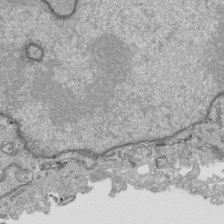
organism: Human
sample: Mitochondria in HCT116 cells